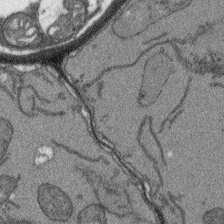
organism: Arabidopsis thaliana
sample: Root tip